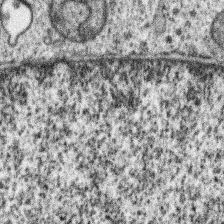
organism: Human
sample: HeLa cells